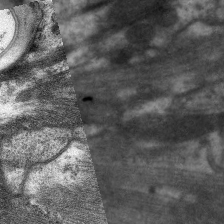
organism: C. elegans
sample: Pharynx